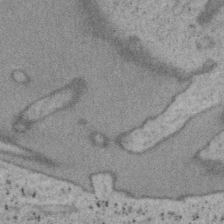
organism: Human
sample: HeLa cells